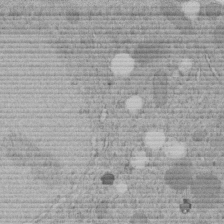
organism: C. elegans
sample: C. elegans embryo early stage